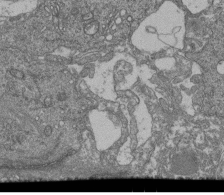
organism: Human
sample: Retinal organoid Rod and Cone cells